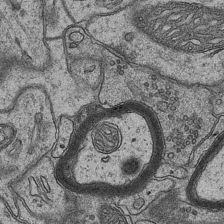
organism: Mouse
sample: CA1 Hippocampus